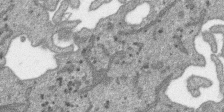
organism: Human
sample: Lung epithelial cells infected with SARS-CoV-2